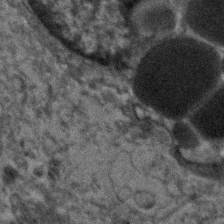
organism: Human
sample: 1205lu cells